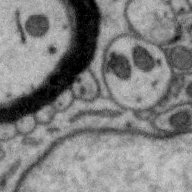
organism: Zebra finch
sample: Brain